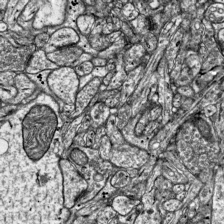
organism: Mouse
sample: Visual Cortex